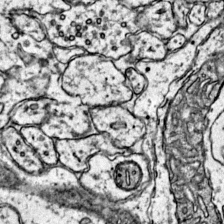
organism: Mouse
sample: Primary visual cortex